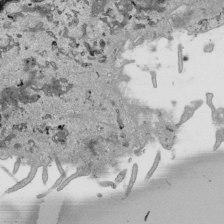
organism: Human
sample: Mitochondria in HCT116 cells